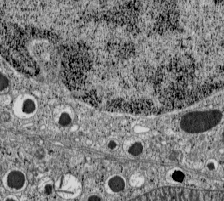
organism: C57BL Mouse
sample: Pancreatic islet